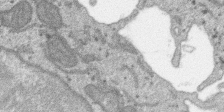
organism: Human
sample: Lung epithelial cells infected with SARS-CoV-2